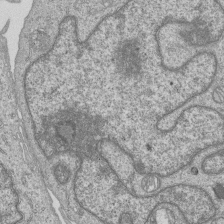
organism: Human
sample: MDA-MB-231 cells